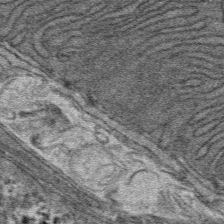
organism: Mouse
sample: Mouse hepatocytes